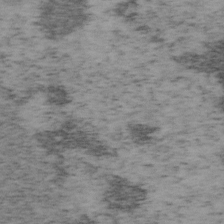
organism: Mouse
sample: OT-I killer T cells with ID8 ovarian cancer cells